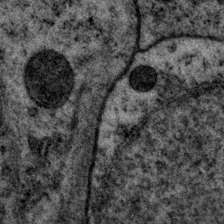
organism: P. pacificus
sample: Pharynx